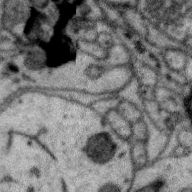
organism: Zebra finch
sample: Brain